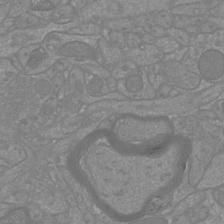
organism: Mouse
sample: Cortical neurons